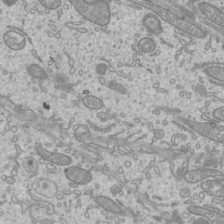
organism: Mouse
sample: Cilia; mouse epididymis